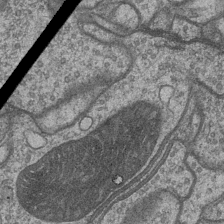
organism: Drosophila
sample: Optic medulla